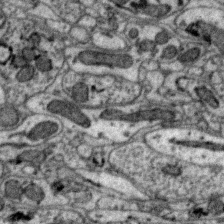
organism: Zebra finch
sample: Brain